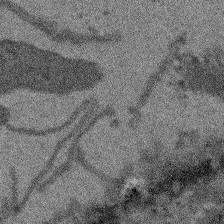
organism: Arabidopsis thaliana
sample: Root tip